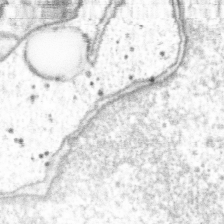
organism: Human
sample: HeLa cells